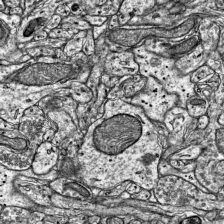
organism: Mouse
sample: Visual Cortex